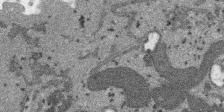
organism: Human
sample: Lung epithelial cells infected with SARS-CoV-2